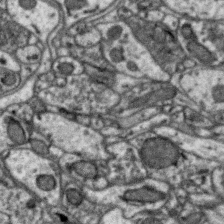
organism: Zebra finch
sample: Brain